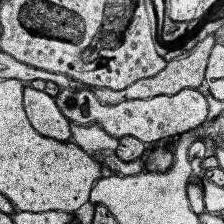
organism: Human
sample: Temporal Lobe